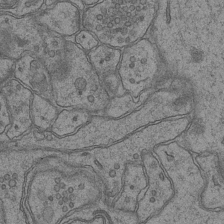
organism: Mouse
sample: CA1 Hippocampus